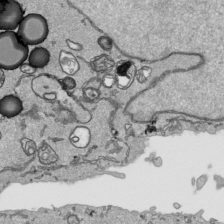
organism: Human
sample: Mitochondria in HCT116 cells